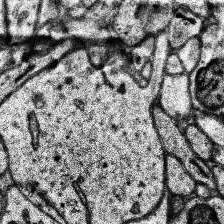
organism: Human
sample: Temporal Lobe